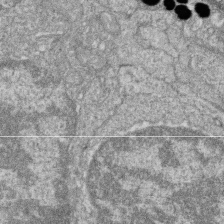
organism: Zebrafish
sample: Cilia; retinal pigment epithelium